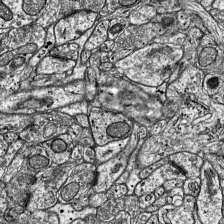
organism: Mouse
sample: Visual Cortex